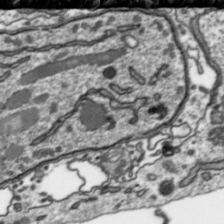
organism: Toxoplasma gondii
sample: Parasites in a vacuole inside a host cell